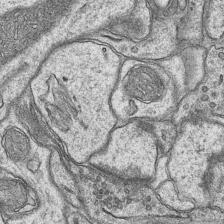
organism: Mouse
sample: CA1 Hippocampus